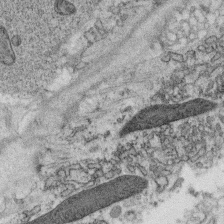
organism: C. elegans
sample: C. elegans oocyte; sperm cells